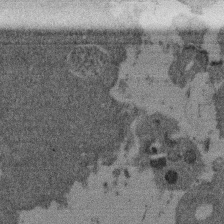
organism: Mouse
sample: Dividing mouse embryo 1 cell stage